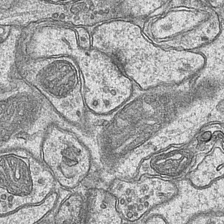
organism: Mouse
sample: CA1 Hippocampus